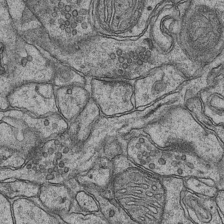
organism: Mouse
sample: CA1 Hippocampus